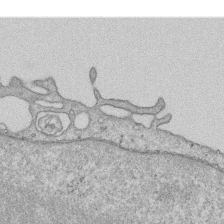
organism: Human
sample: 1205lu cells